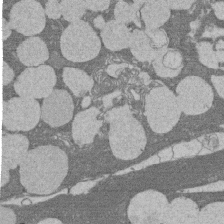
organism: Rat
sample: Salivary granule